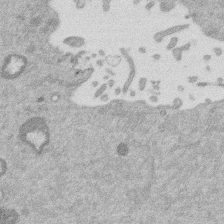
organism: Mouse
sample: Dividing mouse embryo 1 cell stage